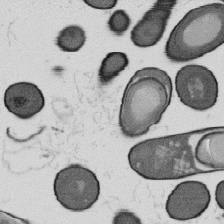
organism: B. subtilis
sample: Bacterial spore